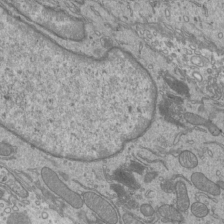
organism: Mouse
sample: Cilia; mouse epididymis